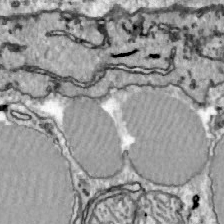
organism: Zebrafish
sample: Actinotrichia fibers